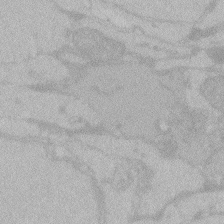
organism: Zebrafish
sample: Macrophage infected with Toxoplasma gondii